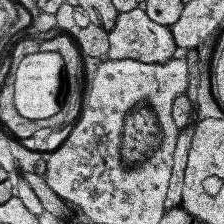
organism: Human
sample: Temporal Lobe